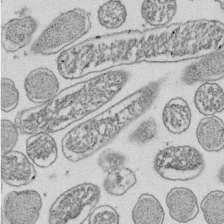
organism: E. coli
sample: Bacterial nucleoid